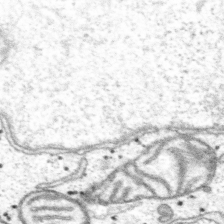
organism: Human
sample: HeLa cells